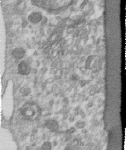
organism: Human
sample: Centriole in RPE cells